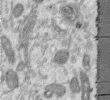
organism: Human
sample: Centriole in RPE cells